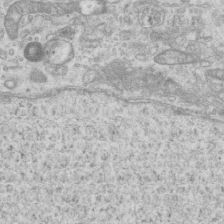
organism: Mouse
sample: Centriole in ependymal cells